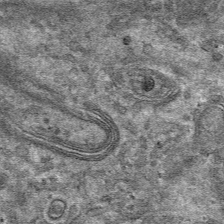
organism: Mouse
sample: Mouse hepatocytes